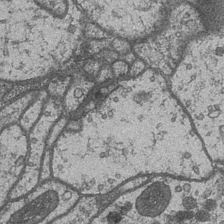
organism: Drosophila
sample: Optic medulla